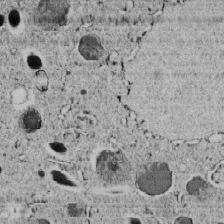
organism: C. elegans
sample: C. elegans embryo early stage